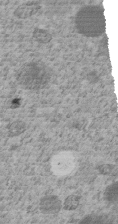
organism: C. elegans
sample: C. elegans embryo early stage